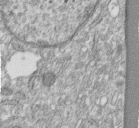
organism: Human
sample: Centriole in fibroblast cells